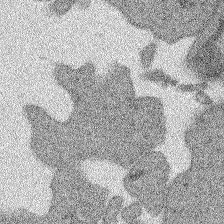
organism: Human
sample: HeLa cells